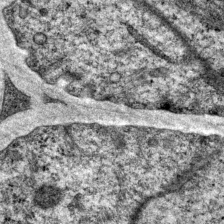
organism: P. pacificus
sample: Pharynx